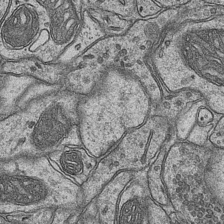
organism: Mouse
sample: CA1 Hippocampus